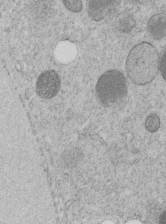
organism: C. elegans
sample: C. elegans embryo early stage